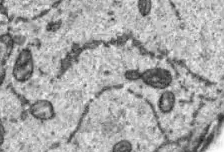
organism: Human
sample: HeLa cells